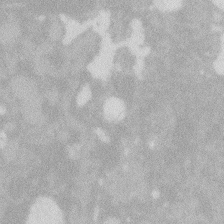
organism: Zebrafish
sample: Macrophage